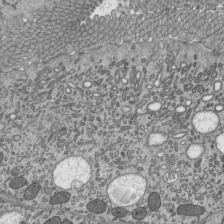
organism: Mouse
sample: Mouse epididymis efferent ductule cilia